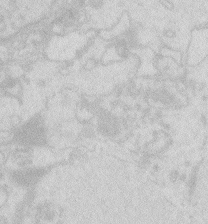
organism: Zebrafish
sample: Macrophage